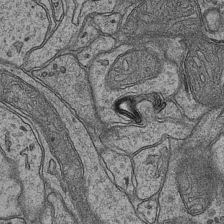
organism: Mouse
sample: CA1 Hippocampus